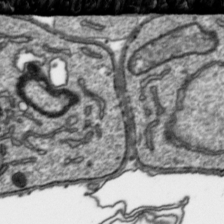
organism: Toxoplasma gondii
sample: Parasites in a vacuole inside a host cell